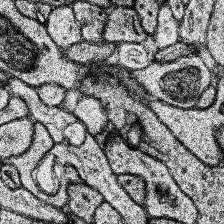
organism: Human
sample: Temporal Lobe